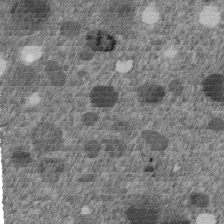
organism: C. elegans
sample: C. elegans embryo early stage